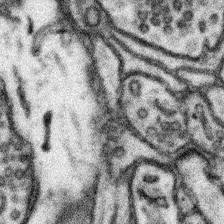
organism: Mouse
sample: Somatosensory cortex neuropil